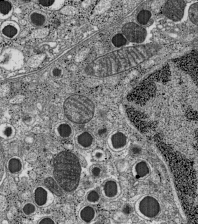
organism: C57BL Mouse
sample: Pancreatic islet